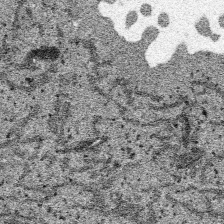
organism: Human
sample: Lung epithelial cells infected with SARS-CoV-2